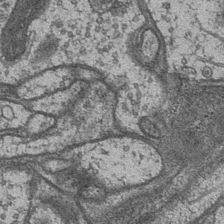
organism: Drosophila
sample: Optic medulla